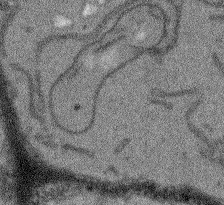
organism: Arabidopsis thaliana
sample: Root tip